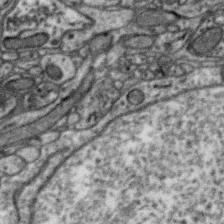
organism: Zebra finch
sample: Brain